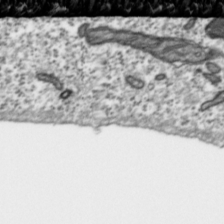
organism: Toxoplasma gondii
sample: Parasites in a vacuole inside a host cell